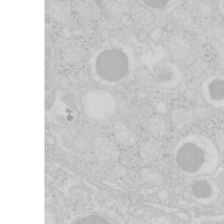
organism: Mouse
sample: Pancreas